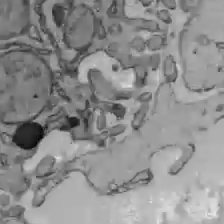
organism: C57BL Mouse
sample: Liver